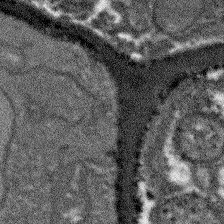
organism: Arabidopsis thaliana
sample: Root tip